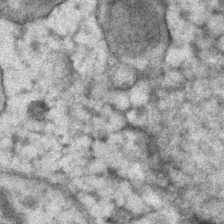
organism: Human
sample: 1205lu cells